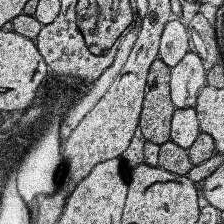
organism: Human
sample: Temporal Lobe